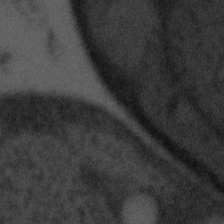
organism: Tuwongella immobilis